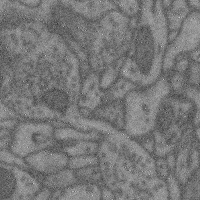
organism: Mouse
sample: Cerebral cortex